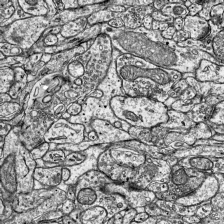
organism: Mouse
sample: Visual Cortex